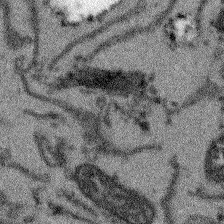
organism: Arabidopsis thaliana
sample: Root tip